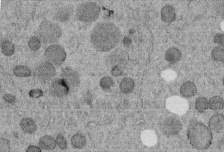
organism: C. elegans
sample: C. elegans embryo early stage